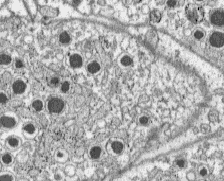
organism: C57BL Mouse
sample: Pancreatic islet